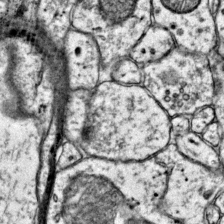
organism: Mouse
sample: Primary visual cortex